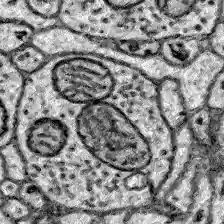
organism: Zebrafish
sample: Brain